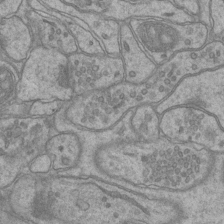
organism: Mouse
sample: CA1 Hippocampus